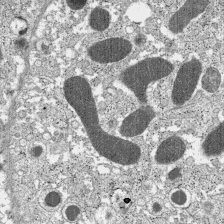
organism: C57BL Mouse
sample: Pancreatic islet